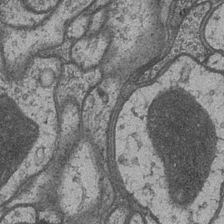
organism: Drosophila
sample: Optic medulla